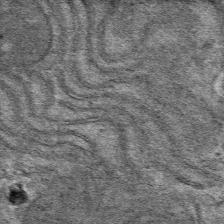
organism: Mouse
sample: Mouse hepatocytes